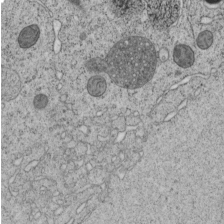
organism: C. elegans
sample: C. elegans embryo early stage